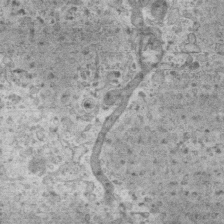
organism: Mouse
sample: Centriole in ependymal cells